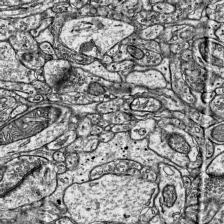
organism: Mouse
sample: Visual Cortex